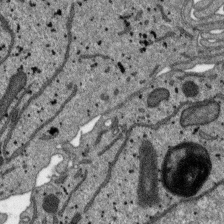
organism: Human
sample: Lung epithelial cells, uninfected (mock) control